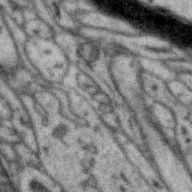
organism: Zebra finch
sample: Brain